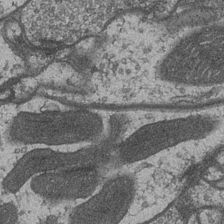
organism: Drosophila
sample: Optic medulla